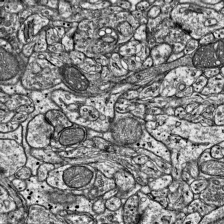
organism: Mouse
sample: Visual Cortex